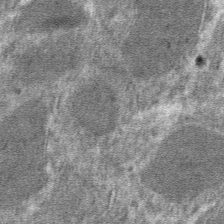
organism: Mouse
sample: Mouse hepatocytes